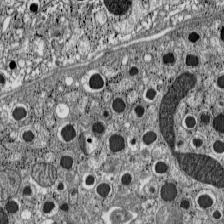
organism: C57BL Mouse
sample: Pancreatic islet